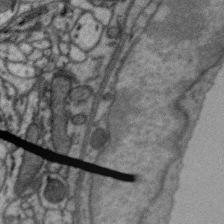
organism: Zebra finch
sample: Brain